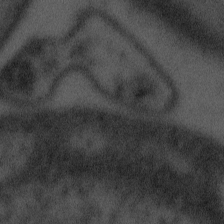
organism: Tuwongella immobilis